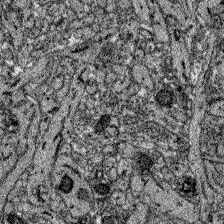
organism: Zebrafish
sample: Larval olfactory bulb